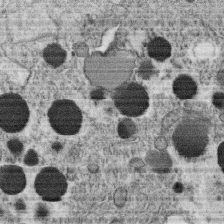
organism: C. elegans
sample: C. elegans oocyte; sperm cells